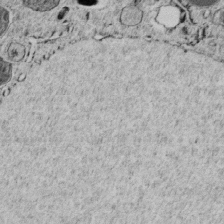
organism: C. elegans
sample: C. elegans embryo early stage